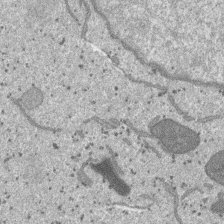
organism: Human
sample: Lung epithelial cells infected with SARS-CoV-2